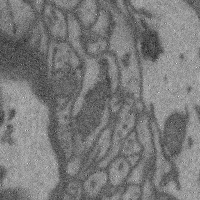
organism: Mouse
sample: Cerebral cortex